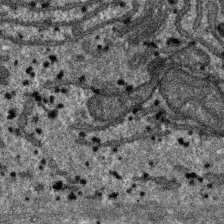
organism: Human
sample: Lung epithelial cells infected with SARS-CoV-2